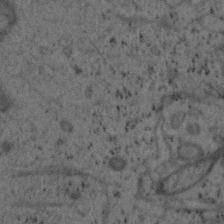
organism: Human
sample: HeLa cells